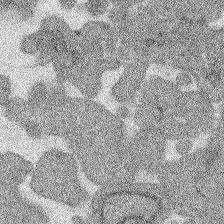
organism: Human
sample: HeLa cells